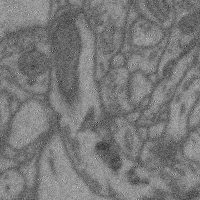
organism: Mouse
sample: Cerebral cortex